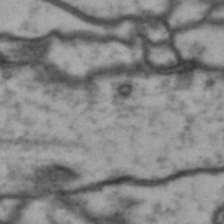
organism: Drosophila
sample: Brain